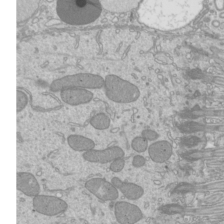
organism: Mouse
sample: Cilia; mouse epididymis